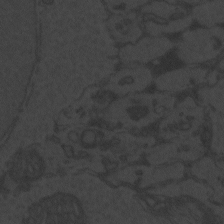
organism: Zebrafish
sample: Macrophage infected with Toxoplasma gondii